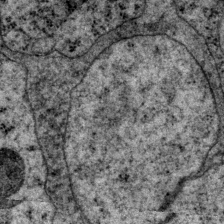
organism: P. pacificus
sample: Pharynx